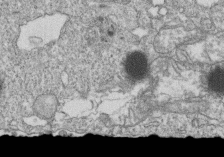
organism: Human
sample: HeLa cell HIV synapse